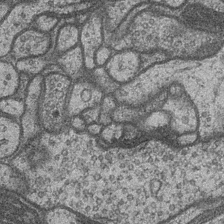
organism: Drosophila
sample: Optic medulla